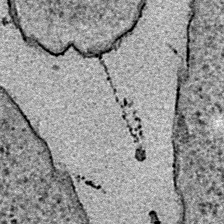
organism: E. coli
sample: E. Coli Bacteria